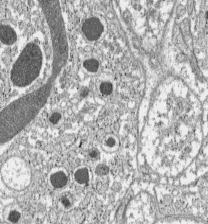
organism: C57BL Mouse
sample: Pancreatic islet